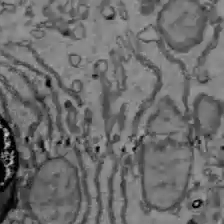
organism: C57BL Mouse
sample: Liver